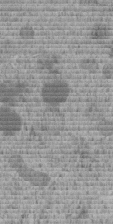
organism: C. elegans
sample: C. elegans embryo early stage